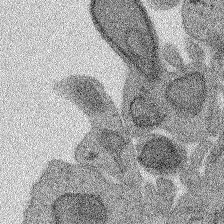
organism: Human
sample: HeLa cells